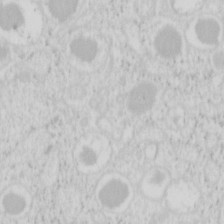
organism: Mouse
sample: Pancreas